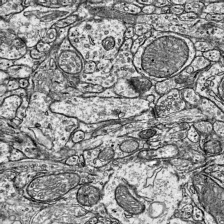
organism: Mouse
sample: Visual Cortex